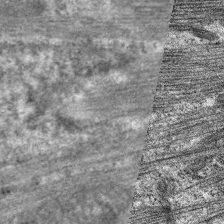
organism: C. elegans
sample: Pharynx